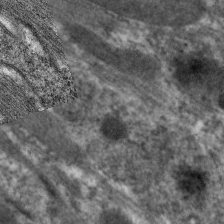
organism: C. elegans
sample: Pharynx